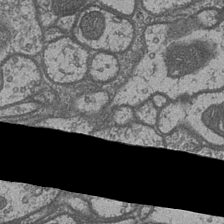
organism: Drosophila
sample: Optic medulla